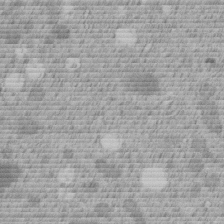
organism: C. elegans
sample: C. elegans embryo early stage